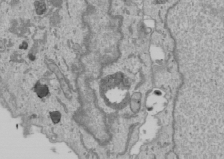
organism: Human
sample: Mitochondria in U2OS cells